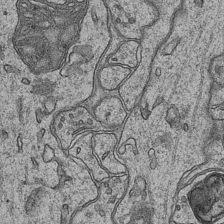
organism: Mouse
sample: CA1 Hippocampus